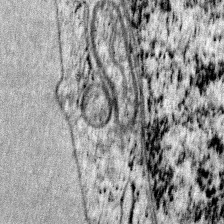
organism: Human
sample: HeLa cells